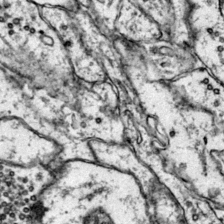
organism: Mouse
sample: Primary visual cortex